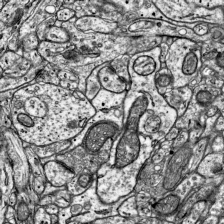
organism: Mouse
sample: Visual Cortex